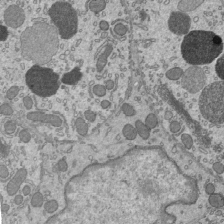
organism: Mouse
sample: Mouse epididymis efferent ductule cilia